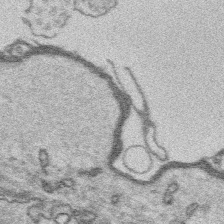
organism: Platynereis dumerilii